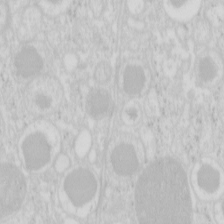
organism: Mouse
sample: Pancreas